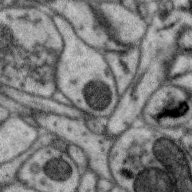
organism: Zebra finch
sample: Brain